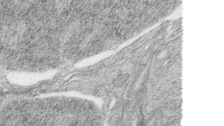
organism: Zebrafish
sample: synaptic ribbons in rod cells and cone cells